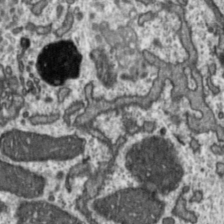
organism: Toxoplasma gondii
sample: Parasites in a vacuole inside a host cell